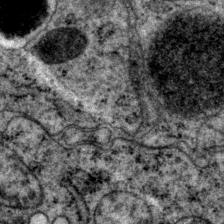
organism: P. pacificus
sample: Pharynx